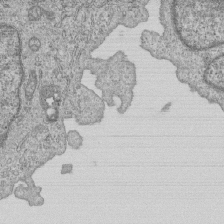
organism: Human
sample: MDA-MB-231 cells